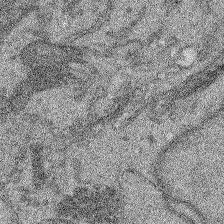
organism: Human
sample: HeLa cells